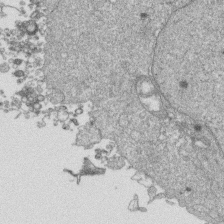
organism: Human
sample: HeLa cell HIV synapse